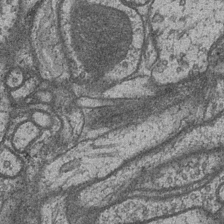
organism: Drosophila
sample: Optic medulla